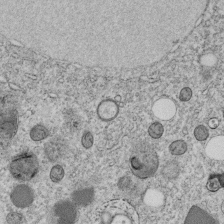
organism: C. elegans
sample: C. elegans embryo early stage